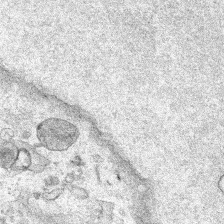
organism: Human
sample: Mitochondria in HCT116 cells